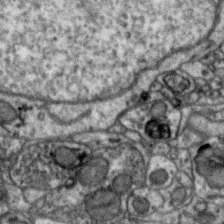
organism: Zebra finch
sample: Brain